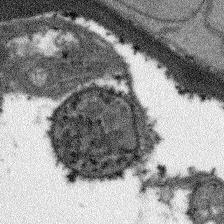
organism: Arabidopsis thaliana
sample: Root tip